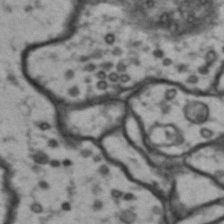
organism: Drosophila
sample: Brain